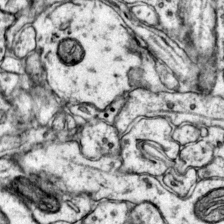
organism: Mouse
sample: Primary visual cortex